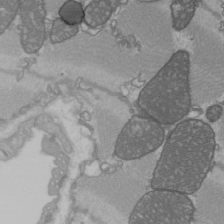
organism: C57BL Mouse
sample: Heart